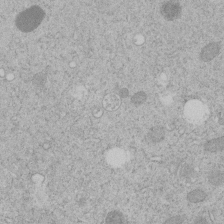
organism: C. elegans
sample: C. elegans embryo early stage